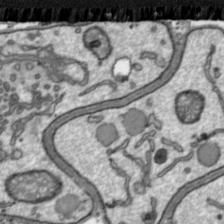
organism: Toxoplasma gondii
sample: Parasites in a vacuole inside a host cell